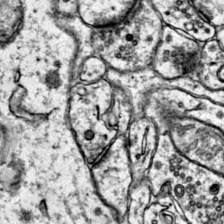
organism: Mouse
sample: Primary visual cortex